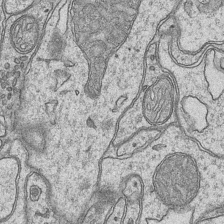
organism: Mouse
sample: CA1 Hippocampus